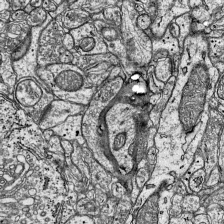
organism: Mouse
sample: Visual Cortex